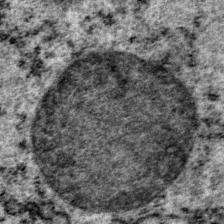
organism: P. pacificus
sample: Pharynx